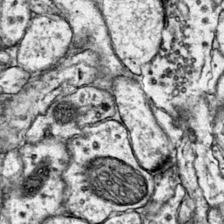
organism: Mouse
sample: Primary visual cortex